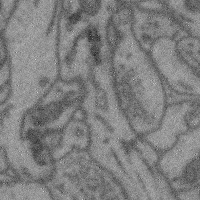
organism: Mouse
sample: Cerebral cortex